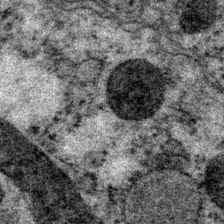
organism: P. pacificus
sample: Pharynx